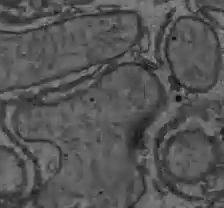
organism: C57BL Mouse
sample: Liver